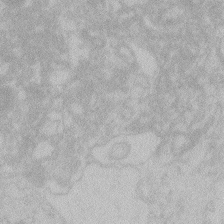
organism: Zebrafish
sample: Macrophage infected with Toxoplasma gondii